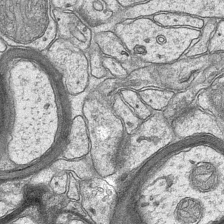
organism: Mouse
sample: CA1 Hippocampus